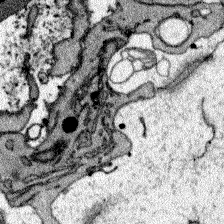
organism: Zebrafish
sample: Larval olfactory bulb